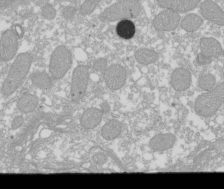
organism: Xenopus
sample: Cilia; centrioles in frog embryo cells